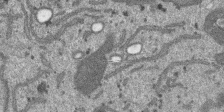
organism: Human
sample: Lung epithelial cells infected with SARS-CoV-2